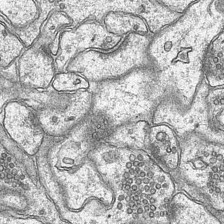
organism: Mouse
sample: CA1 Hippocampus